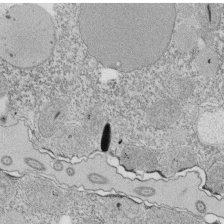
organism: Tetrahymena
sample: Cilia in tetrahymena